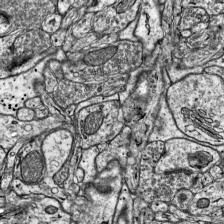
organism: Mouse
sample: Visual Cortex